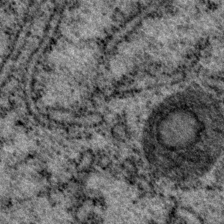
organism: P. pacificus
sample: Pharynx